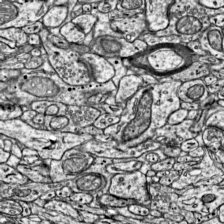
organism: Mouse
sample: Visual Cortex